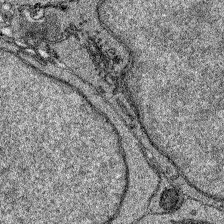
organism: Zebrafish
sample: Larval olfactory bulb